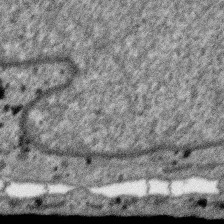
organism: Human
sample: Lung epithelial cells infected with SARS-CoV-2